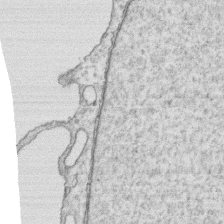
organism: Human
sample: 1205lu cells